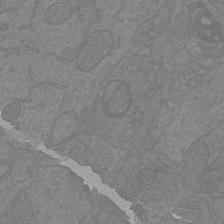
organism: Mouse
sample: Cortical neurons